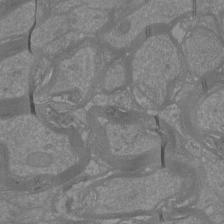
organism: Mouse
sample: Cortical neurons